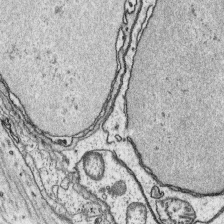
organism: Platynereis dumerilii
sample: Parapodia